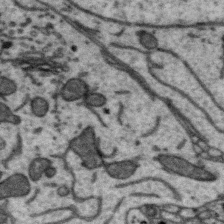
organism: Zebra finch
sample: Brain